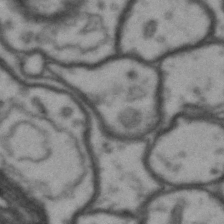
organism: Drosophila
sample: Brain